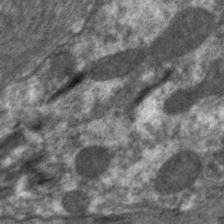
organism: C. elegans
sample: Pharynx